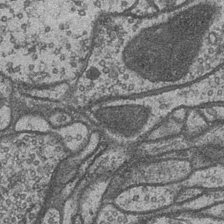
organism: Drosophila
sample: Optic medulla